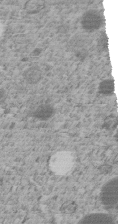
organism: C. elegans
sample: C. elegans embryo early stage